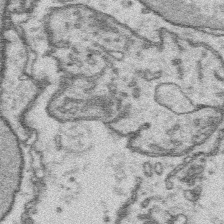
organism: Platynereis dumerilii